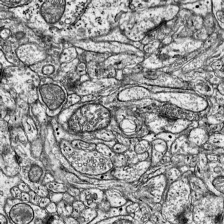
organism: Mouse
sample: Visual Cortex